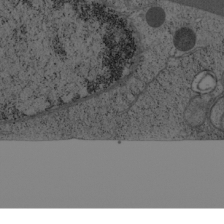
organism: African green monkey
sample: COS-7 cells